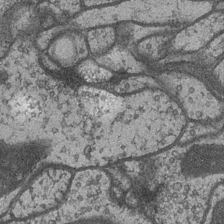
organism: Drosophila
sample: Optic medulla